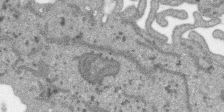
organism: Human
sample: Lung epithelial cells infected with SARS-CoV-2